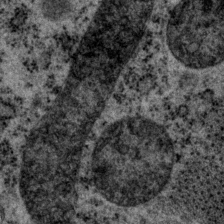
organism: P. pacificus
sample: Pharynx